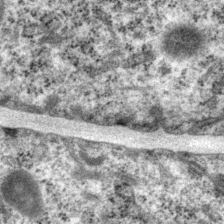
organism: P. pacificus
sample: Pharynx